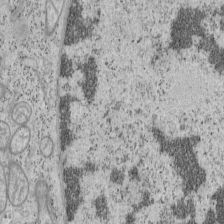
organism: Mouse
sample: OT-I killer T cells with ID8 ovarian cancer cells